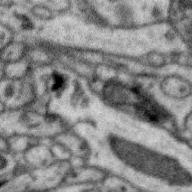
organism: Zebra finch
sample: Brain